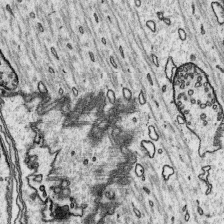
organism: Platynereis dumerilii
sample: Parapodia